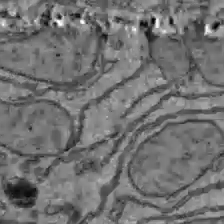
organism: C57BL Mouse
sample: Liver